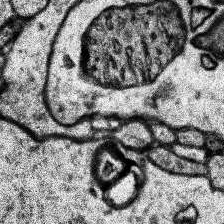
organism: Human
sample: Temporal Lobe